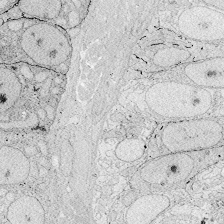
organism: Zebrafish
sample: Whole-Brain